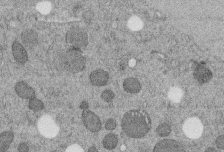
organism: C. elegans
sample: C. elegans embryo early stage